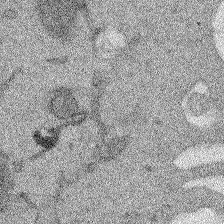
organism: Human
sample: HeLa cells